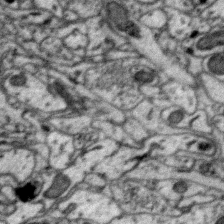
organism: Zebra finch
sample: Brain